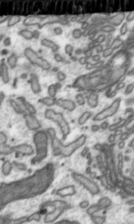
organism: Toxoplasma gondii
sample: Parasites in a vacuole inside a host cell